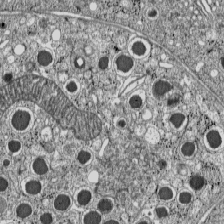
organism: C57BL Mouse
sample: Pancreatic islet